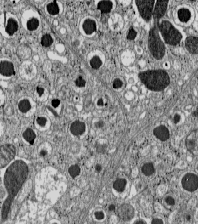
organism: C57BL Mouse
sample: Pancreatic islet